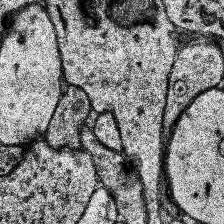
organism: Human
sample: Temporal Lobe